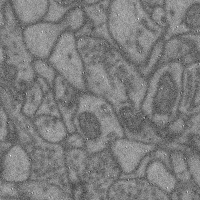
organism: Mouse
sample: Cerebral cortex